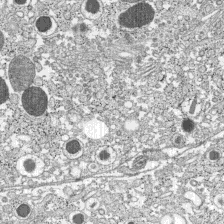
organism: C57BL Mouse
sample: Pancreatic islet